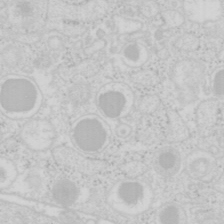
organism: Mouse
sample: Pancreas